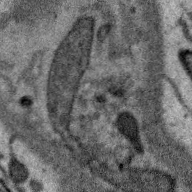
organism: Zebra finch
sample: Brain